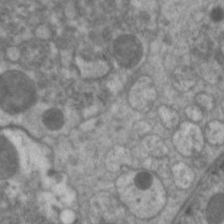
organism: C. elegans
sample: Pharynx